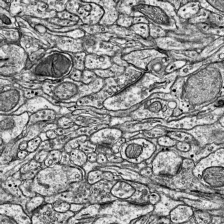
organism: Mouse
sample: Visual Cortex